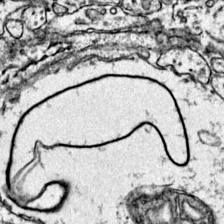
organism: Mouse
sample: Primary visual cortex